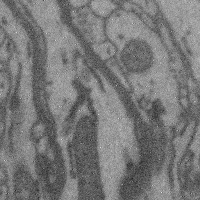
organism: Mouse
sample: Cerebral cortex